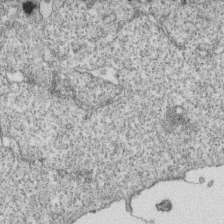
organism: Human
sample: HeLa cell HIV synapse